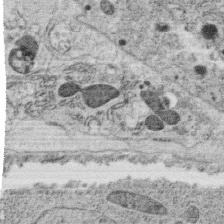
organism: C. elegans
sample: C. elegans oocyte; sperm cells